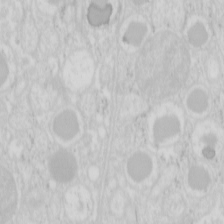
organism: Mouse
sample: Pancreas